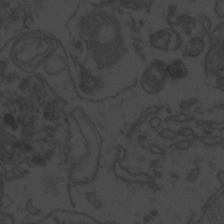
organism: Zebrafish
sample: Macrophage infected with Toxoplasma gondii